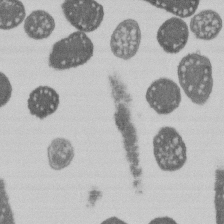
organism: E. coli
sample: Bacterial nucleoid